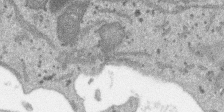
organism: Human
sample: Lung epithelial cells infected with SARS-CoV-2